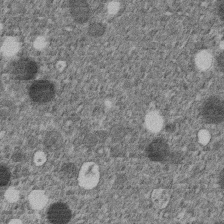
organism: C. elegans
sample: C. elegans embryo early stage